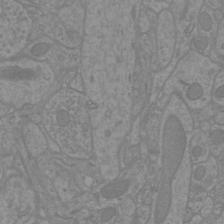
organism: Mouse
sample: Cortical neurons